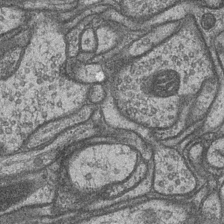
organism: Drosophila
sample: Optic medulla